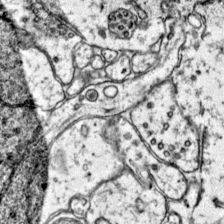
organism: Mouse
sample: Primary visual cortex